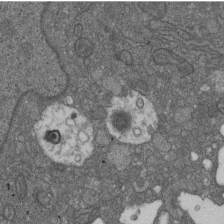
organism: Drosophila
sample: Nephrocyte